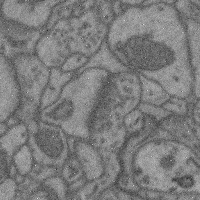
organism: Mouse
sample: Cerebral cortex